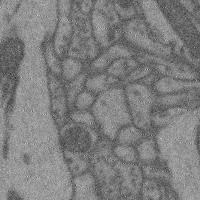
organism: Mouse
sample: Cerebral cortex